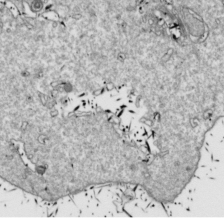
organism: Drosophila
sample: Cell division; meiosis; drosophila spermatocytes